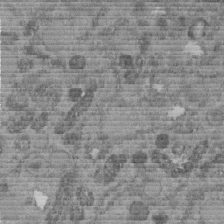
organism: C. elegans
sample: C. elegans embryo early stage